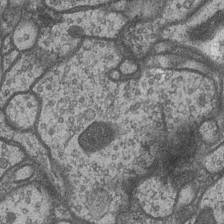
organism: Drosophila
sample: Optic medulla